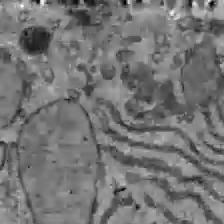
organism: C57BL Mouse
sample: Liver